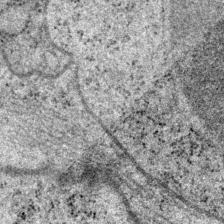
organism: P. pacificus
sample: Pharynx